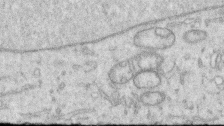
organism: Human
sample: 1205lu cells